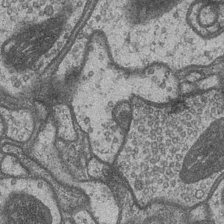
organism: Drosophila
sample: Optic medulla